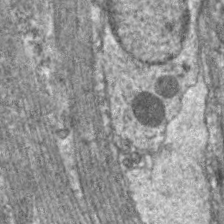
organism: C. elegans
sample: Pharynx